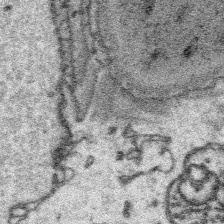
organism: Platynereis dumerilii